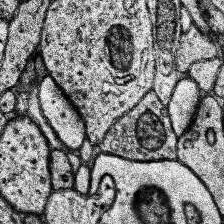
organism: Human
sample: Temporal Lobe